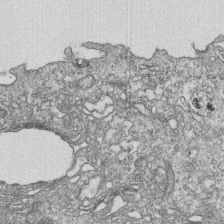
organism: Human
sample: HeLa cell HIV synapse